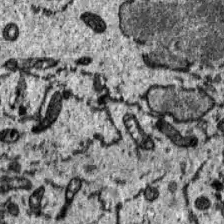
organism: Human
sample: HeLa cells